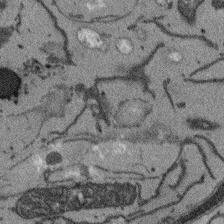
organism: Arabidopsis thaliana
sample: Root tip